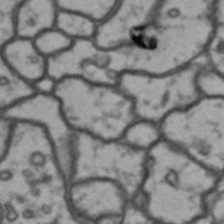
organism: Drosophila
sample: Brain